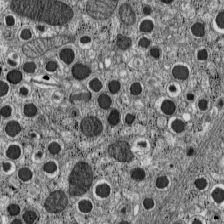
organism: C57BL Mouse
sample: Pancreatic islet